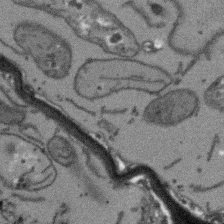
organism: Arabidopsis thaliana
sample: Root tip